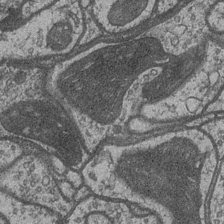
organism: Drosophila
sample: Optic medulla